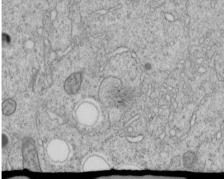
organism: C. elegans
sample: C. elegans embryo early stage